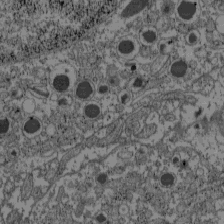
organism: C57BL Mouse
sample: Pancreatic islet